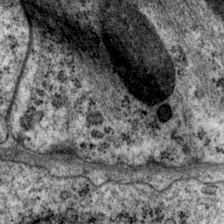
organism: P. pacificus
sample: Pharynx